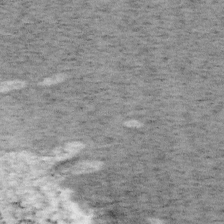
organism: Mouse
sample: OT-I killer T cells with ID8 ovarian cancer cells